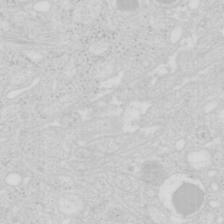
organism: Mouse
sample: Pancreas